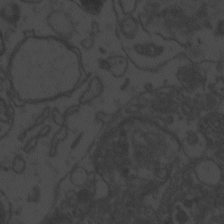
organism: Zebrafish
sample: Macrophage infected with Toxoplasma gondii